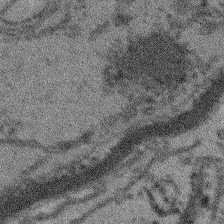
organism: Arabidopsis thaliana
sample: Root tip